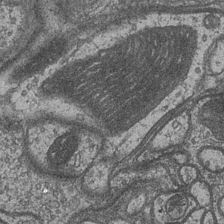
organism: Drosophila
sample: Optic medulla